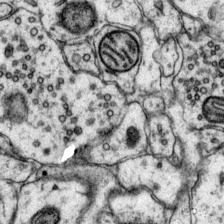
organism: Mouse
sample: Primary visual cortex